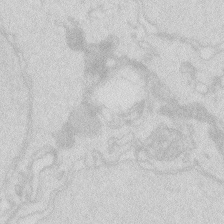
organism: Zebrafish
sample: Macrophage